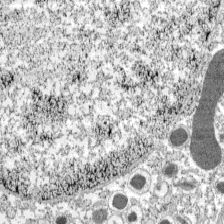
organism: C57BL Mouse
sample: Pancreatic islet